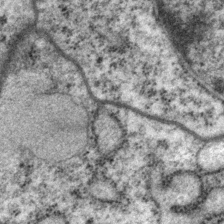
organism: P. pacificus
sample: Pharynx